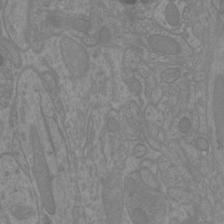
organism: Mouse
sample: Cortical neurons